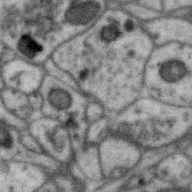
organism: Zebra finch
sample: Brain